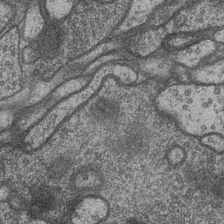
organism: Drosophila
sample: Optic medulla